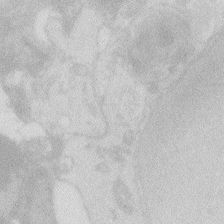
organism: Zebrafish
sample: Macrophage